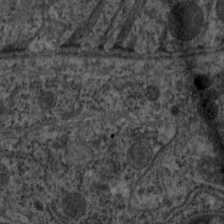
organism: C. elegans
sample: Pharynx